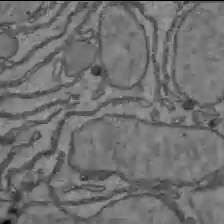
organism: C57BL Mouse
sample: Liver